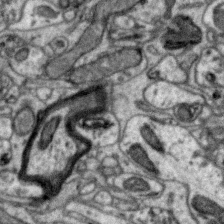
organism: Zebra finch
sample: Brain